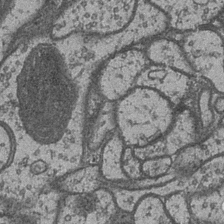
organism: Drosophila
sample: Optic medulla